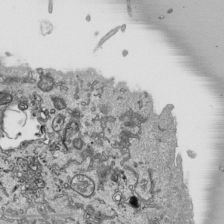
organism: Human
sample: Mitochondria in HCT116 cells